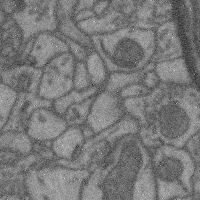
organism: Mouse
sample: Cerebral cortex